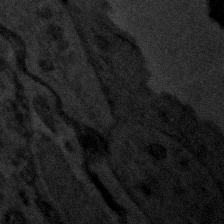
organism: Zebrafish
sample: Zebrafish embryo